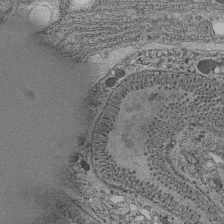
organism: C. elegans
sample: C. elegans pharynx